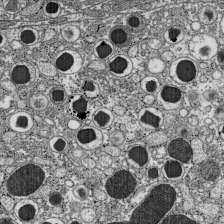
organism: C57BL Mouse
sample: Pancreatic islet